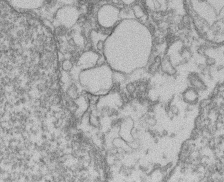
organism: Mouse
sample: T cell stromal cell synapse